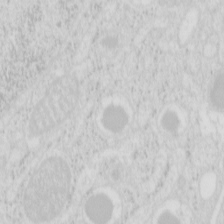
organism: Mouse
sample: Pancreas